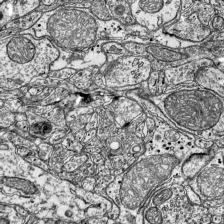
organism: Mouse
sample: Visual Cortex